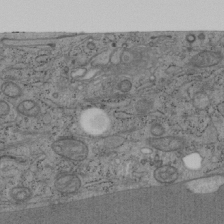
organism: Human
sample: HeLa cells